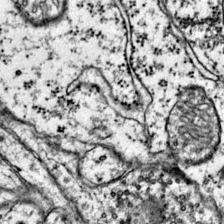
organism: Mouse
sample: Primary visual cortex